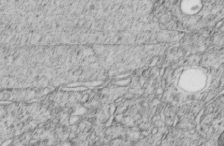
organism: C. elegans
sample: C. elegans embryo early stage